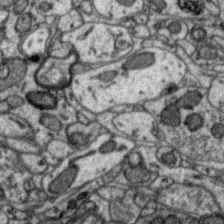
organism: Zebra finch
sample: Brain